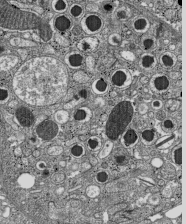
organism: C57BL Mouse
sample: Pancreatic islet